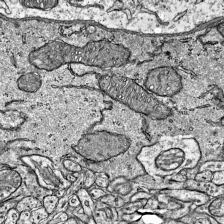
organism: Mouse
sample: Visual Cortex